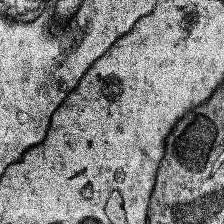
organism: Human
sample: Temporal Lobe